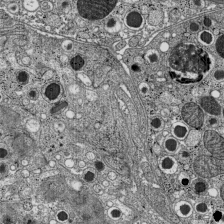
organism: C57BL Mouse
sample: Pancreatic islet